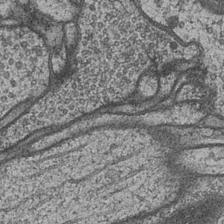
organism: Drosophila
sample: Optic medulla